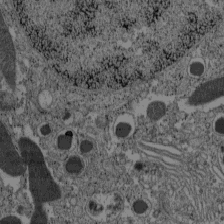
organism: C57BL Mouse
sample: Pancreatic islet